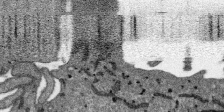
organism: Human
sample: Lung epithelial cells, uninfected (mock) control